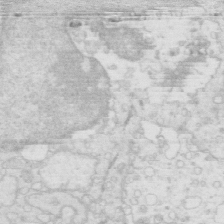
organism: Mouse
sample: Multiciliated cells